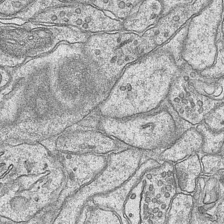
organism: Mouse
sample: CA1 Hippocampus